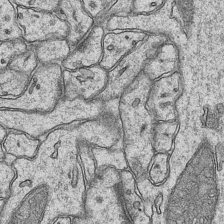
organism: Mouse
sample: CA1 Hippocampus